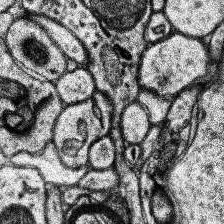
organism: Human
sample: Temporal Lobe